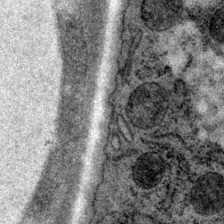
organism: P. pacificus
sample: Pharynx